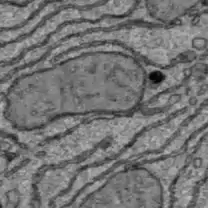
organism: C57BL Mouse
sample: Liver